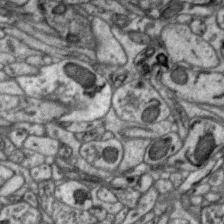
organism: Zebra finch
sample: Brain